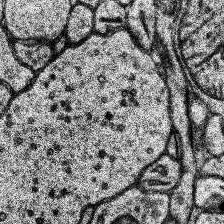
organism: Human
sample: Temporal Lobe